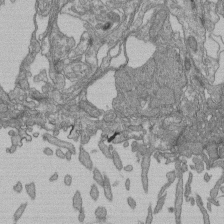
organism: Human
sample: Retinal organoid Rod and Cone cells